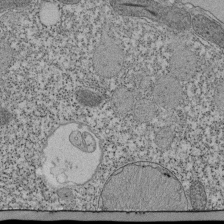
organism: Tetrahymena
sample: Cilia in tetrahymena